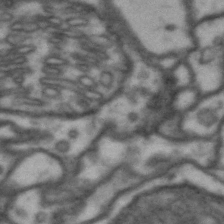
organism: Drosophila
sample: Brain